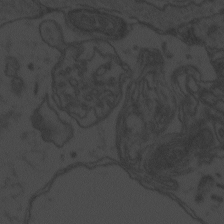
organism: Zebrafish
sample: Macrophage infected with Toxoplasma gondii